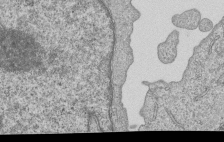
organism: Human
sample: MDA-MB-231 cells